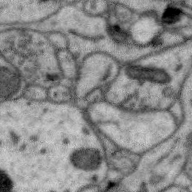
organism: Zebra finch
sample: Brain